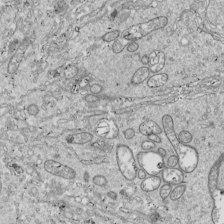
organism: Drosophila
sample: Cell division; meiosis; drosophila spermatocytes